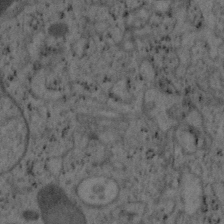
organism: Human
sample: HeLa cells